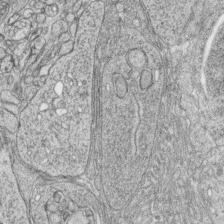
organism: Zebrafish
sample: synaptic ribbons in rod cells and cone cells